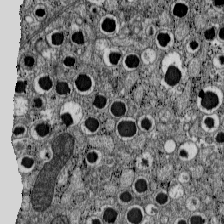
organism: C57BL Mouse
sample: Pancreatic islet